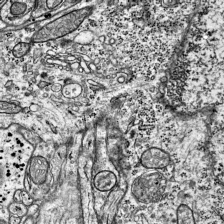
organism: Mouse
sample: Visual Cortex